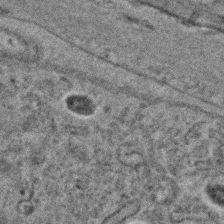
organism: C. elegans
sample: C. elegans embryo